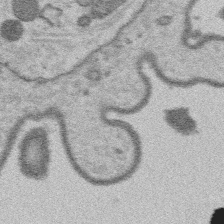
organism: Platynereis dumerilii